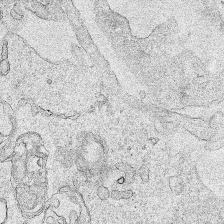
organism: Human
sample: Mitochondria in HCT116 cells